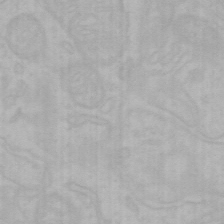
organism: Mouse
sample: Choroid plexus